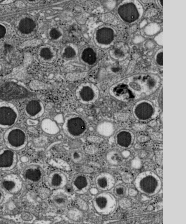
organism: C57BL Mouse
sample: Pancreatic islet